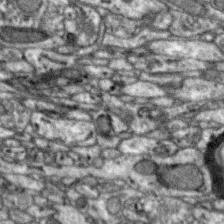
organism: Zebra finch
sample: Brain